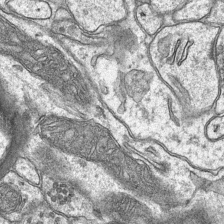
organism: Mouse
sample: CA1 Hippocampus